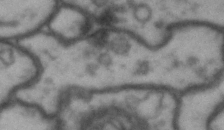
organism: Drosophila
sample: Brain